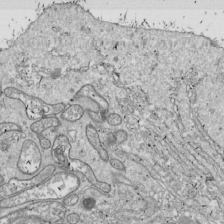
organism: Drosophila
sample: Cell division; meiosis; drosophila spermatocytes